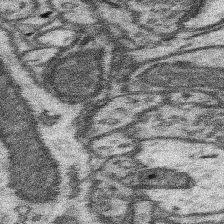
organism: Mouse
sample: Somatosensory cortex neuropil